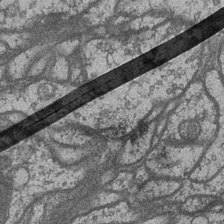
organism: Drosophila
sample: Optic medulla